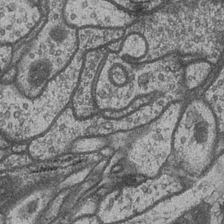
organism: Drosophila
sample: Optic medulla